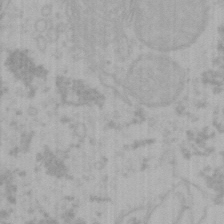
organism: Mouse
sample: Choroid plexus